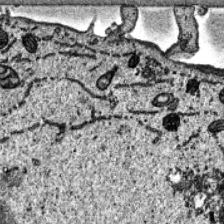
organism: Human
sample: HeLa cells